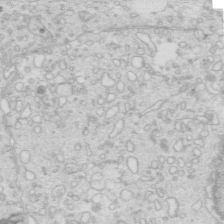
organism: Mouse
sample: Multiciliated cells